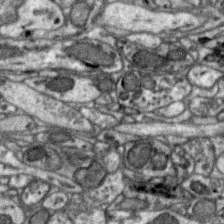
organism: Zebra finch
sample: Brain